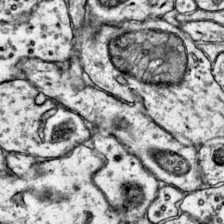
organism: Mouse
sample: Primary visual cortex